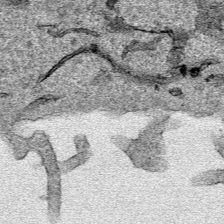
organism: Human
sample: Mitochondria in HCT116 cells